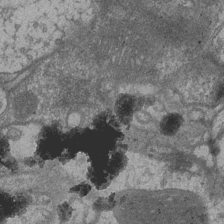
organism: Drosophila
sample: Optic medulla